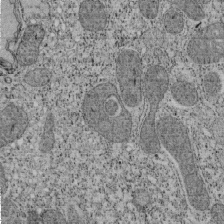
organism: Tetrahymena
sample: Cilia in tetrahymena